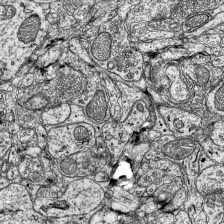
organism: Mouse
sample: Visual Cortex